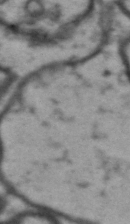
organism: Drosophila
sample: Brain